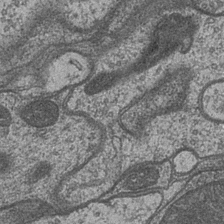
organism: Drosophila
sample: Optic medulla